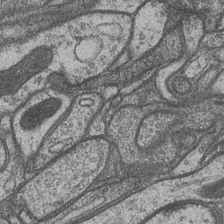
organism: Drosophila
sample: Optic medulla